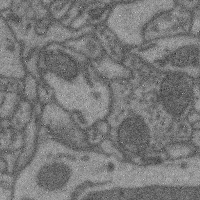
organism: Mouse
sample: Cerebral cortex